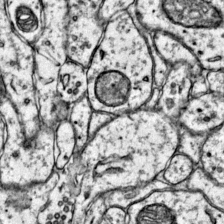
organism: Mouse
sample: Primary visual cortex